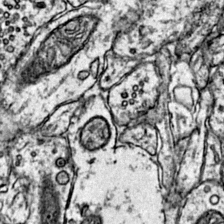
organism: Mouse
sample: Primary visual cortex